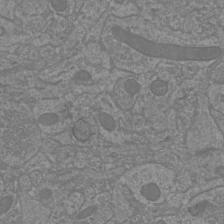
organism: Mouse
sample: Cortical neurons